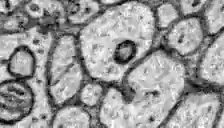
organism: Zebrafish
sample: Brain